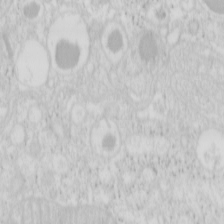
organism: Mouse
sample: Pancreas